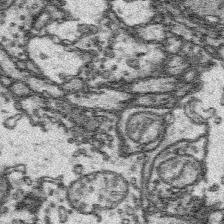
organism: Platynereis dumerilii